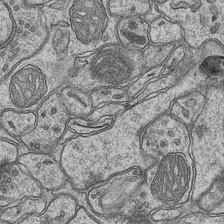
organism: Mouse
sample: CA1 Hippocampus